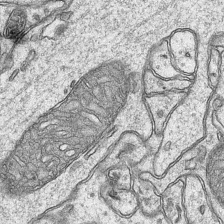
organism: Mouse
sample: CA1 Hippocampus